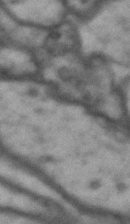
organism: Drosophila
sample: Brain